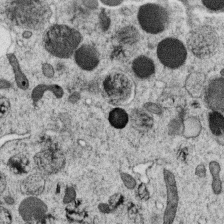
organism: C. elegans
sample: C. elegans oocyte; sperm cells